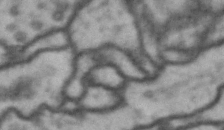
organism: Drosophila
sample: Brain